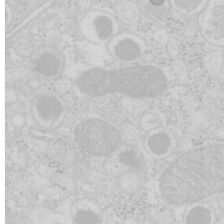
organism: Mouse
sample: Pancreas